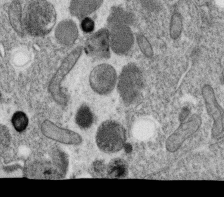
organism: C. elegans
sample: C. elegans oocyte; sperm cells